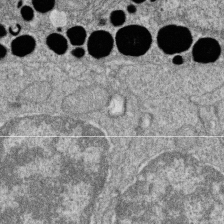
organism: Zebrafish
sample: Cilia; retinal pigment epithelium